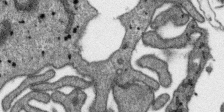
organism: Human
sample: Lung epithelial cells, uninfected (mock) control